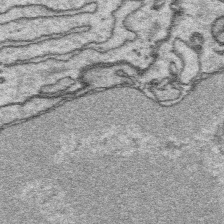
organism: Platynereis dumerilii